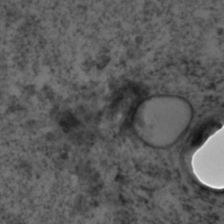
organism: C. elegans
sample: C. elegans embryo